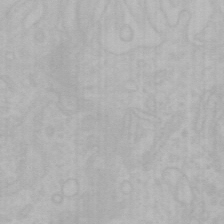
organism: Mouse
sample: Choroid plexus